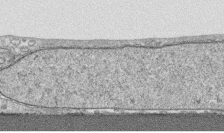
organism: Human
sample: CRL-1474